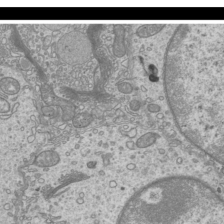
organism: Mouse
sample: Cilia; mouse epididymis